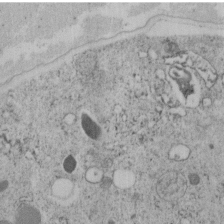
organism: C. elegans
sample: C. elegans embryo early stage